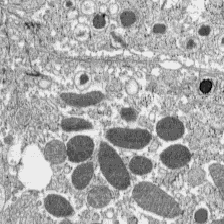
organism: C57BL Mouse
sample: Pancreatic islet